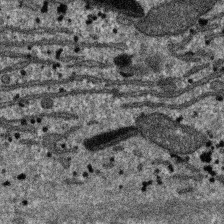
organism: Human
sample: Lung epithelial cells infected with SARS-CoV-2